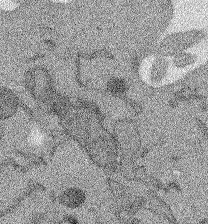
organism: Human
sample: HeLa cells